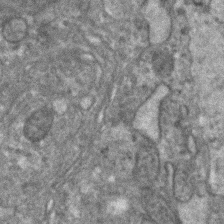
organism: Human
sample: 1205lu cells